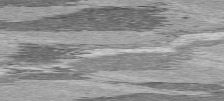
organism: C57BL Mouse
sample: Heart